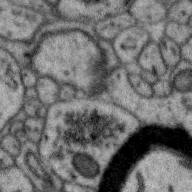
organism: Zebra finch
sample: Brain